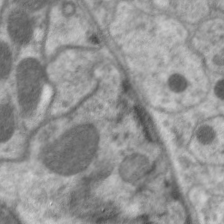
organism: C. elegans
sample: Pharynx